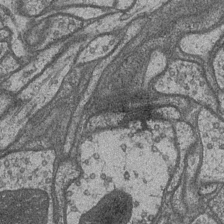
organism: Drosophila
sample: Optic medulla